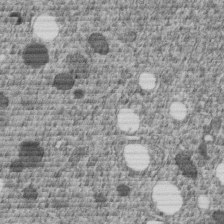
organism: C. elegans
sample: C. elegans embryo early stage